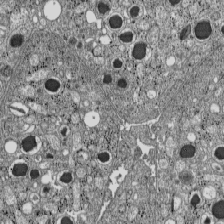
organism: C57BL Mouse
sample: Pancreatic islet